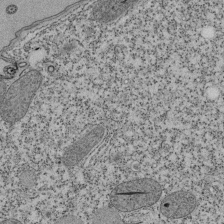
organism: Tetrahymena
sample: Cilia in tetrahymena